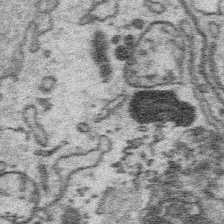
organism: Platynereis dumerilii